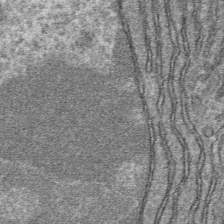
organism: Mouse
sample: Mouse hepatocytes